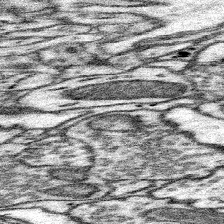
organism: Mouse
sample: Somatosensory cortex neuropil